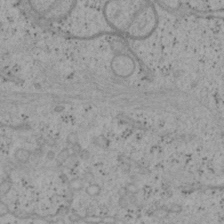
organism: Human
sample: HeLa cells